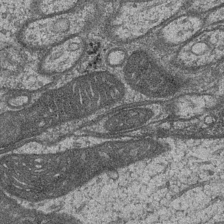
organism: Drosophila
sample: Optic medulla